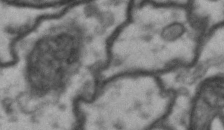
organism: Drosophila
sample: Brain